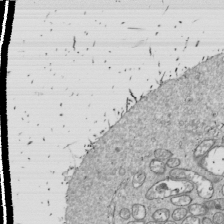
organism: Drosophila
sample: Cell division; meiosis; drosophila spermatocytes